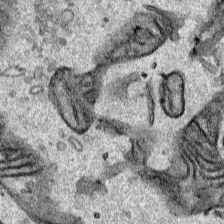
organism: Human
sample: Mitochondria in HCT116 cells